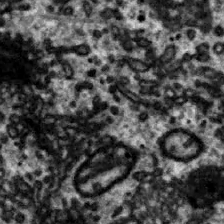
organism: Human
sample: HeLa cells